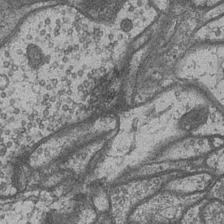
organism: Drosophila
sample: Optic medulla